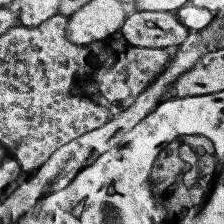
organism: Human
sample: Temporal Lobe